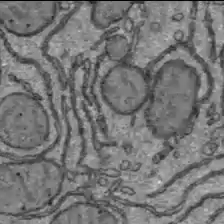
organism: C57BL Mouse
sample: Liver